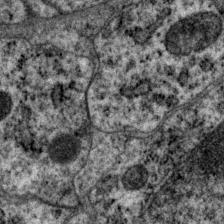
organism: P. pacificus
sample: Pharynx